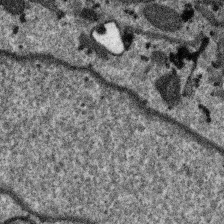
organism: Human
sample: Lung epithelial cells infected with SARS-CoV-2